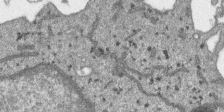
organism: Human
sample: Lung epithelial cells infected with SARS-CoV-2